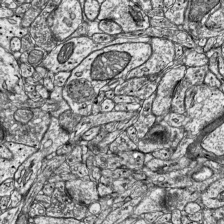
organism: Mouse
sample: Visual Cortex